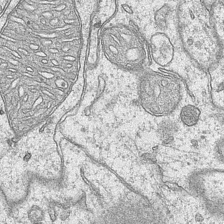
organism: Mouse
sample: CA1 Hippocampus